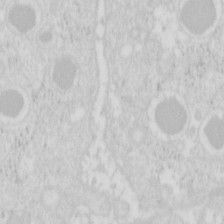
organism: Mouse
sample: Pancreas